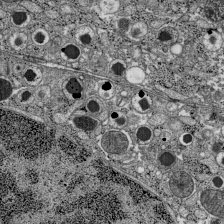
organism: C57BL Mouse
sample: Pancreatic islet